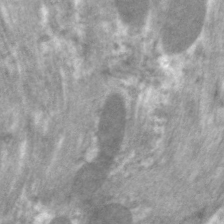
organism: C. elegans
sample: Pharynx